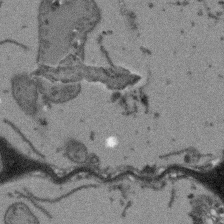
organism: Arabidopsis thaliana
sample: Root tip